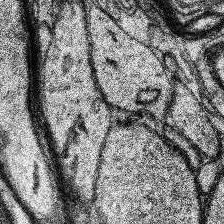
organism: Human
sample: Temporal Lobe